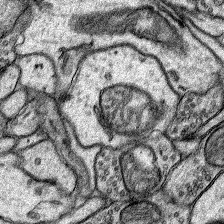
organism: Rat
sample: Hippocampus